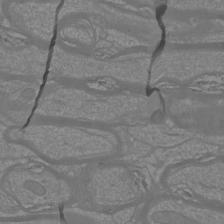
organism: Mouse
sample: Cortical neurons